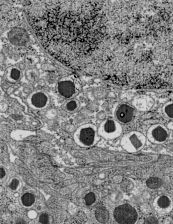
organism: C57BL Mouse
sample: Pancreatic islet